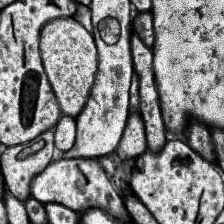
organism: Human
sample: Temporal Lobe